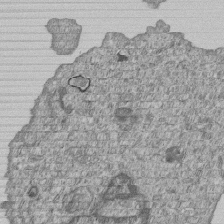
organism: Human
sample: MDA-MB-231 cells